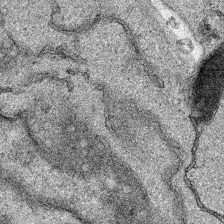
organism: Human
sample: Mitochondria in HCT116 cells